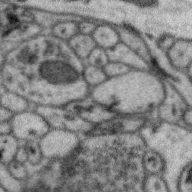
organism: Zebra finch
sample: Brain